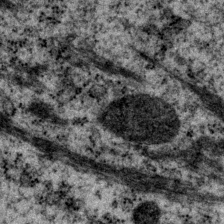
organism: P. pacificus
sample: Pharynx